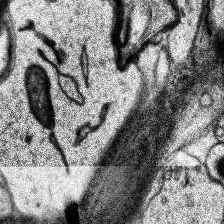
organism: Human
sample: Temporal Lobe